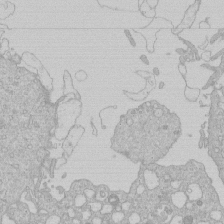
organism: Human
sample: Macrophage cells